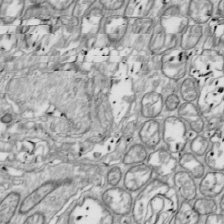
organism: Drosophila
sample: Cell division; meiosis; drosophila spermatocytes